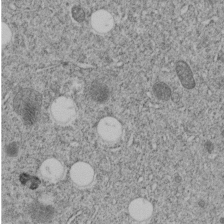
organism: C. elegans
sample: C. elegans embryo early stage